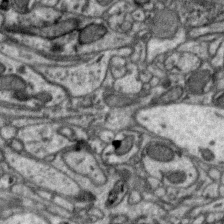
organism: Zebra finch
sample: Brain